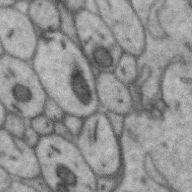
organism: Zebra finch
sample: Brain